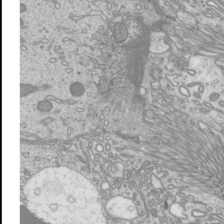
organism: Mouse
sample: Cilia; mouse epididymis